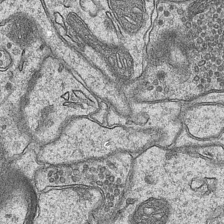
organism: Mouse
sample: CA1 Hippocampus